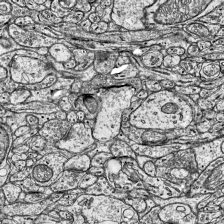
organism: Mouse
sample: Visual Cortex